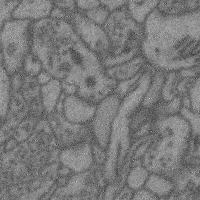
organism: Mouse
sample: Cerebral cortex